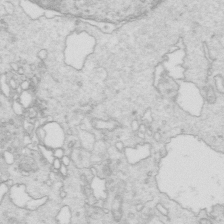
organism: Mouse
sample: Multiciliated cells